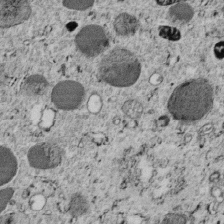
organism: C. elegans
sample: C. elegans embryo early stage